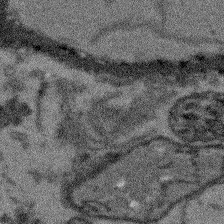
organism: Arabidopsis thaliana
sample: Root tip